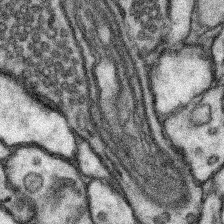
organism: Mouse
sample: Somatosensory cortex neuropil